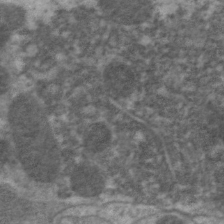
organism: C. elegans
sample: Pharynx